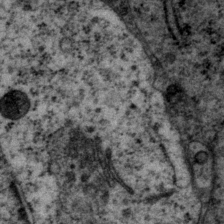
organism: P. pacificus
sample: Pharynx